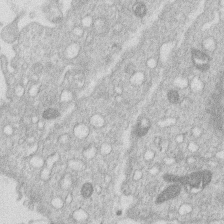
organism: Human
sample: Macrophage cells